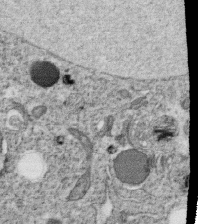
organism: C. elegans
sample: C. elegans oocyte; sperm cells